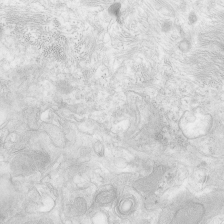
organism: Human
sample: Neocortex